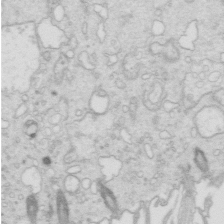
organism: Mouse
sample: Multiciliated cells